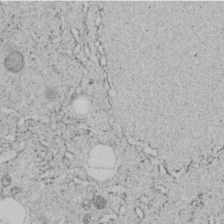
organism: C. elegans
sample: C. elegans embryo early stage